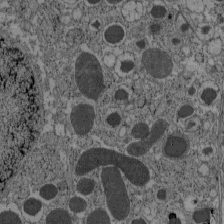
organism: C57BL Mouse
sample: Pancreatic islet